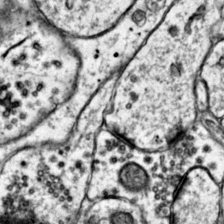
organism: Mouse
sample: Primary visual cortex